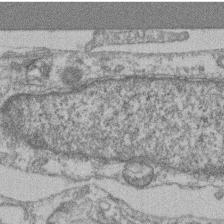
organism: Mouse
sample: T cell stromal cell synapse